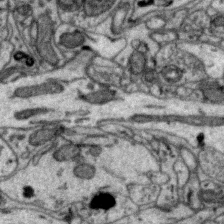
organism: Zebra finch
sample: Brain